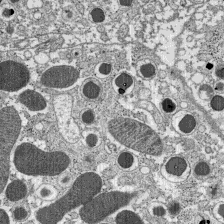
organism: C57BL Mouse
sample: Pancreatic islet